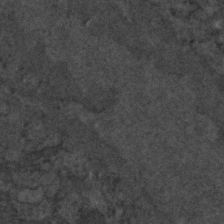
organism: C. elegans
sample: C. elegans embryo